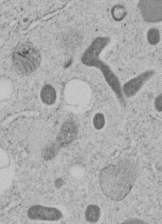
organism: C. elegans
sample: C. elegans embryo early stage